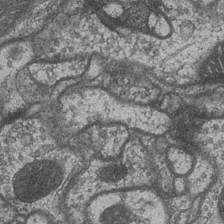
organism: Drosophila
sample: Optic medulla